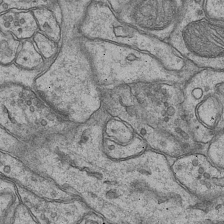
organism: Mouse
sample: CA1 Hippocampus